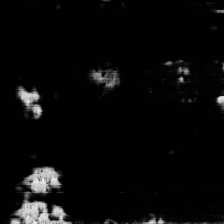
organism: Human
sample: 1205lu cells